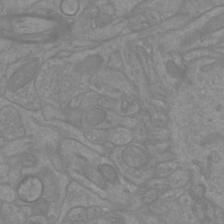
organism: Mouse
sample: Cortical neurons